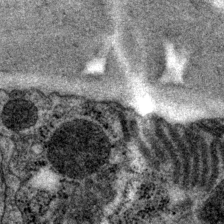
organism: P. pacificus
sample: Pharynx